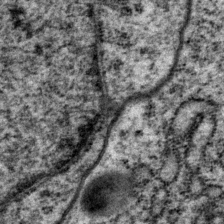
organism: P. pacificus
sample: Pharynx